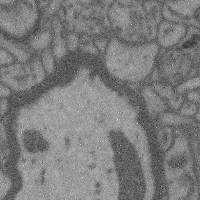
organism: Mouse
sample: Cerebral cortex